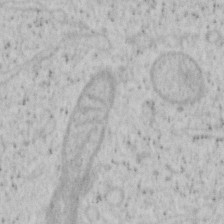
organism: Human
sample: HeLa cells